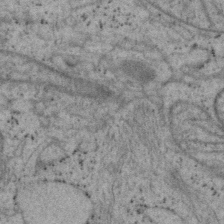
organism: Human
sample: HeLa cells